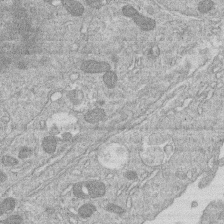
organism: Human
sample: Macrophage cells